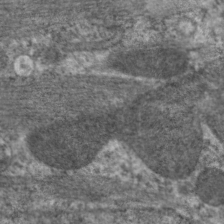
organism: C. elegans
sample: Pharynx